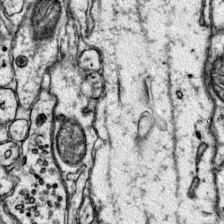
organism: Mouse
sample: Primary visual cortex